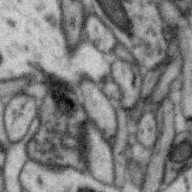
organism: Zebra finch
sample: Brain